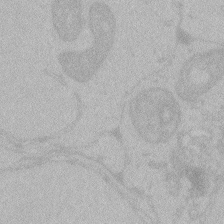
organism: Zebrafish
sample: Macrophage infected with Toxoplasma gondii